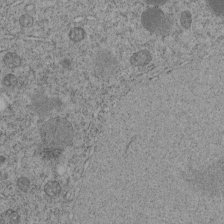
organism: C. elegans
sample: C. elegans embryo early stage